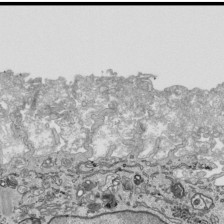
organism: Human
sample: Mitochondria in HCT116 cells